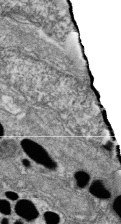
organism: Zebrafish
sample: Cilia; retinal pigment epithelium